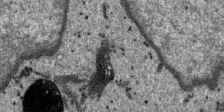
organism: Human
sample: Lung epithelial cells, uninfected (mock) control